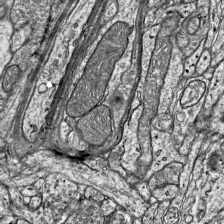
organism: Mouse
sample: Visual Cortex